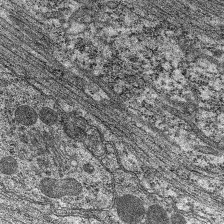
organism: C. elegans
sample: Pharynx